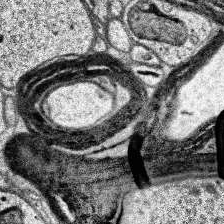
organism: Human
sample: Temporal Lobe